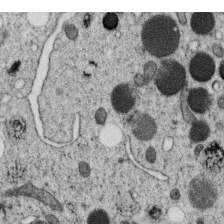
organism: C. elegans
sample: C. elegans oocyte; sperm cells